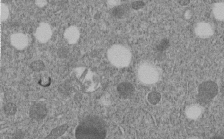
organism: C. elegans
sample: C. elegans embryo early stage